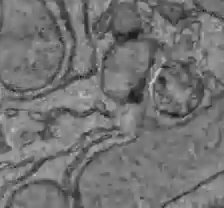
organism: C57BL Mouse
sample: Liver